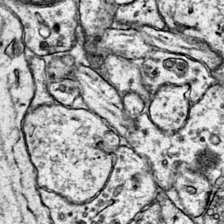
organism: Mouse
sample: Primary visual cortex